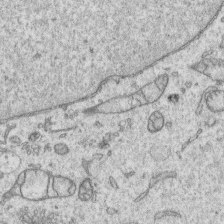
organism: Human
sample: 1205lu cells